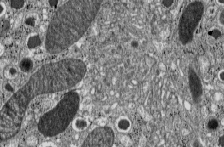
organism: C57BL Mouse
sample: Pancreatic islet